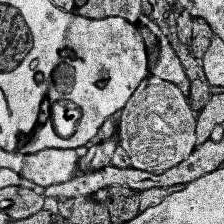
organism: Human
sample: Temporal Lobe